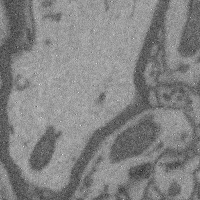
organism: Mouse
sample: Cerebral cortex